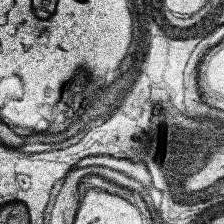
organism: Human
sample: Temporal Lobe